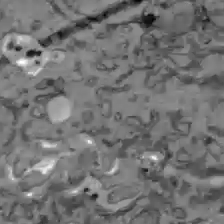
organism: C57BL Mouse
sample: Liver